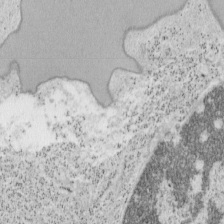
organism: Mouse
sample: OT-I killer T cells with ID8 ovarian cancer cells